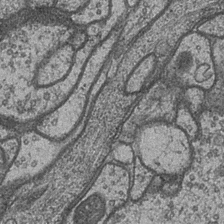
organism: Drosophila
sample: Optic medulla